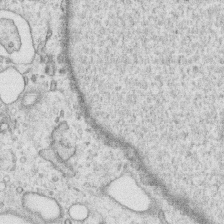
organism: Human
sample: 1205lu cells